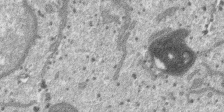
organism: Human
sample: Lung epithelial cells infected with SARS-CoV-2